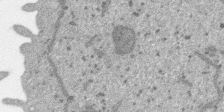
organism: Human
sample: Lung epithelial cells infected with SARS-CoV-2